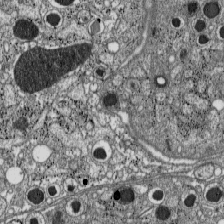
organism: C57BL Mouse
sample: Pancreatic islet